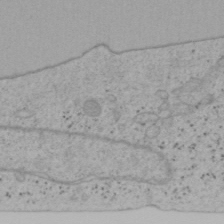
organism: Human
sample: HeLa cells